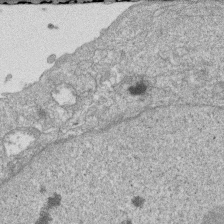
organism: Human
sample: HeLa cell HIV synapse